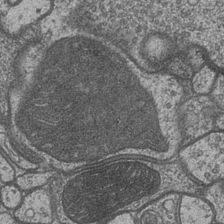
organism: Drosophila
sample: Optic medulla